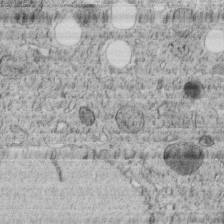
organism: C. elegans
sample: C. elegans embryo early stage